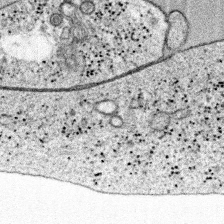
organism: Human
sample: HeLa cells